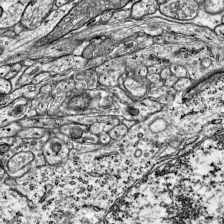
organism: Mouse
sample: Visual Cortex